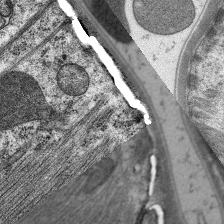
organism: C. elegans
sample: Pharynx